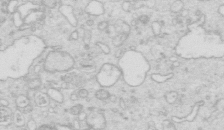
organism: Mouse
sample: Multiciliated cells